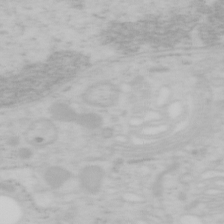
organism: Mouse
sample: OT-I killer T cells with ID8 ovarian cancer cells